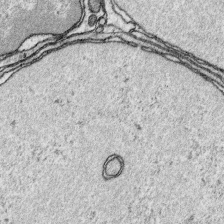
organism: Platynereis dumerilii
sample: Parapodia